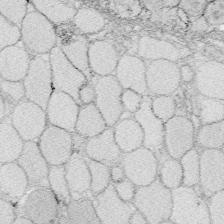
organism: Zebrafish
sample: Whole-Brain